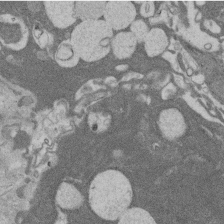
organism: Rat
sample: Salivary granule